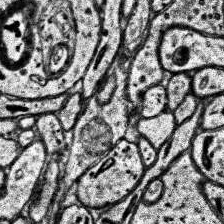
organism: Human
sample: Temporal Lobe